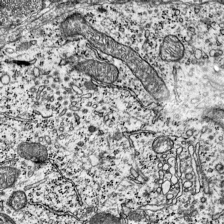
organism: Mouse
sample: Visual Cortex